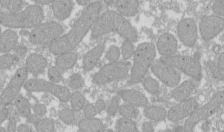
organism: Xenopus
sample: Cilia; centrioles in frog embryo cells